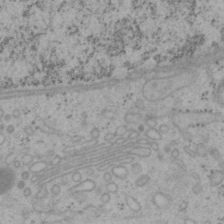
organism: Human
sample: HeLa cells